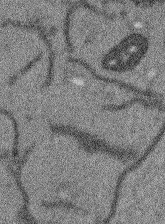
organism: Arabidopsis thaliana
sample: Root tip